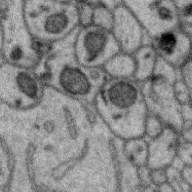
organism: Zebra finch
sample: Brain